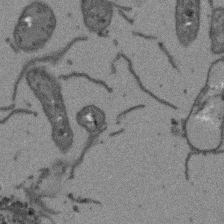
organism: Arabidopsis thaliana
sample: Root tip